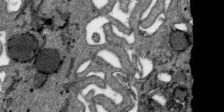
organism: Human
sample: Lung epithelial cells, uninfected (mock) control